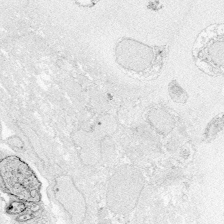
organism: Zebrafish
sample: Whole-Brain